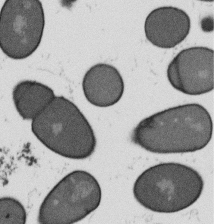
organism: B. subtilis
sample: Bacterial spore